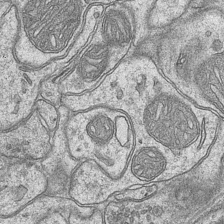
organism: Mouse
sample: CA1 Hippocampus